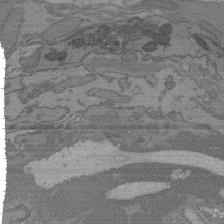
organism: C. elegans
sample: AFD neurons C. elegans